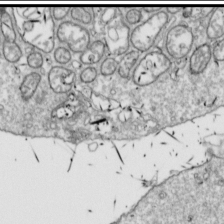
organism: Drosophila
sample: Cell division; meiosis; drosophila spermatocytes